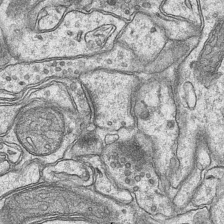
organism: Mouse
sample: CA1 Hippocampus